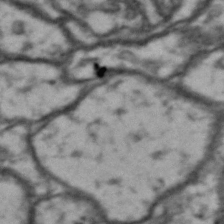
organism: Drosophila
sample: Brain